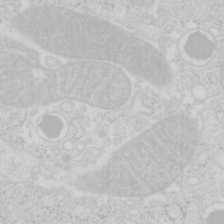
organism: Mouse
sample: Pancreas